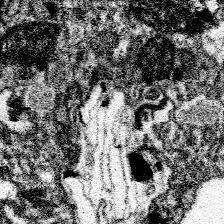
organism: Spongilla lacustris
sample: Neuroid cell